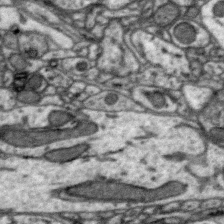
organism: Zebra finch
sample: Brain